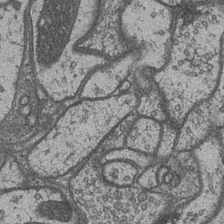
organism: Drosophila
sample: Optic medulla